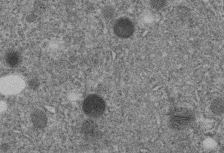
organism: C. elegans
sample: C. elegans embryo early stage